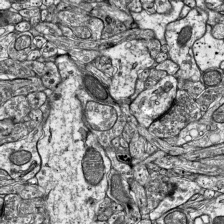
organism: Mouse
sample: Visual Cortex